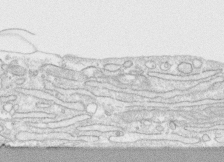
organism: Human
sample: CRL-1474